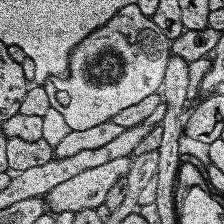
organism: Human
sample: Temporal Lobe